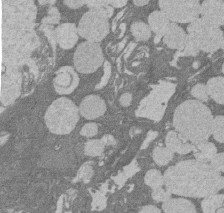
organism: Rat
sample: Salivary granule